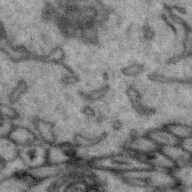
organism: Zebra finch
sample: Brain